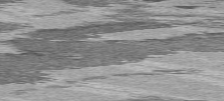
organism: C57BL Mouse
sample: Heart